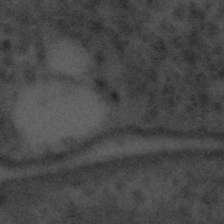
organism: Tuwongella immobilis